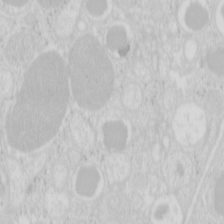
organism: Mouse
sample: Pancreas